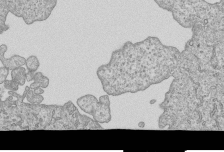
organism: Human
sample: MDA-MB-231 cells